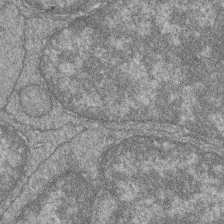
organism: Zebrafish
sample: Cilia; retinal pigment epithelium